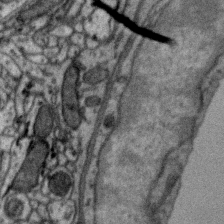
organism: Zebra finch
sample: Brain